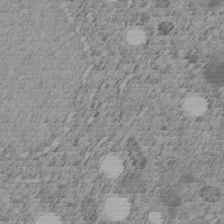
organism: C. elegans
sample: C. elegans embryo early stage